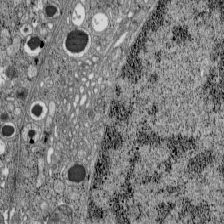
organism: C57BL Mouse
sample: Pancreatic islet